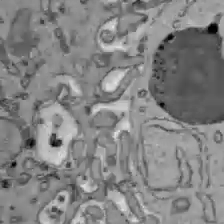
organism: C57BL Mouse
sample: Liver